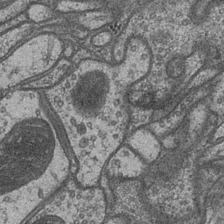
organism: Drosophila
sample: Optic medulla